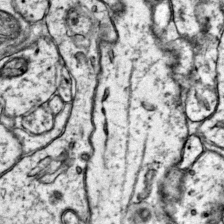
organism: Mouse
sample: Primary visual cortex